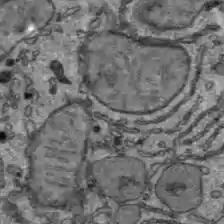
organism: C57BL Mouse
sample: Liver